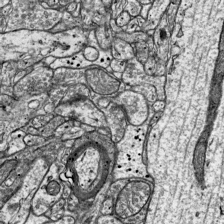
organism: Mouse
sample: Visual Cortex